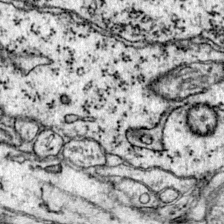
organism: Mouse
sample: Primary visual cortex